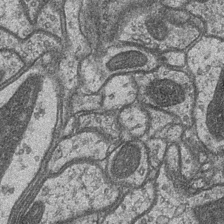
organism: Drosophila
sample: Optic medulla